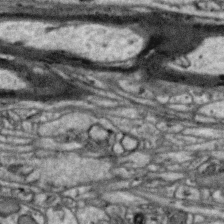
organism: Zebra finch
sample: Brain